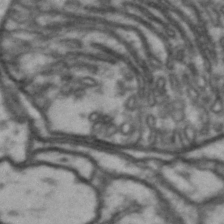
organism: Drosophila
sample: Brain